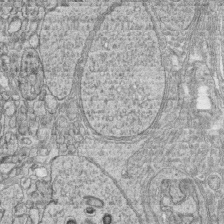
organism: Zebrafish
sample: synaptic ribbons in rod cells and cone cells